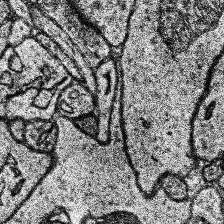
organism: Human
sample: Temporal Lobe